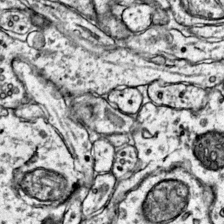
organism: Mouse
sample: Primary visual cortex